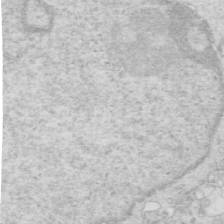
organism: Mouse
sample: Multiciliated cells